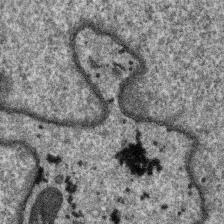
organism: Human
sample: Lung epithelial cells infected with SARS-CoV-2